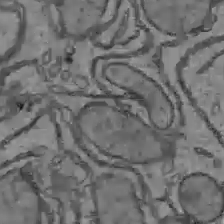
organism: C57BL Mouse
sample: Liver